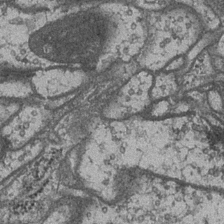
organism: Drosophila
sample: Optic medulla